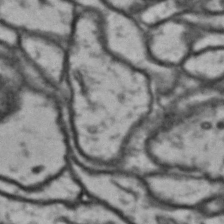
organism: Drosophila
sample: Brain